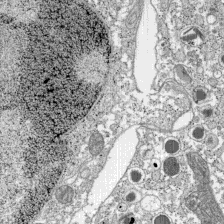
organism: C57BL Mouse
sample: Pancreatic islet